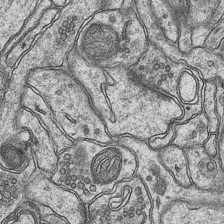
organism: Mouse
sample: CA1 Hippocampus